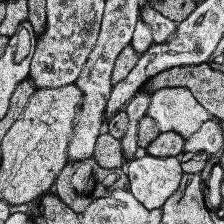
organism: Human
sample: Temporal Lobe